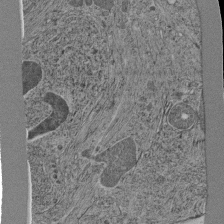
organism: C. elegans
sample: C. elegans pharynx